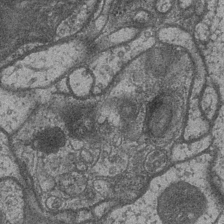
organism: Drosophila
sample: Optic medulla